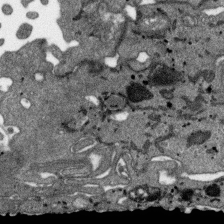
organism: Human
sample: Lung epithelial cells, uninfected (mock) control